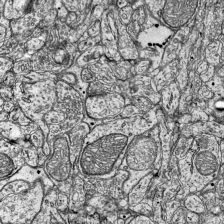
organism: Mouse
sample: Visual Cortex